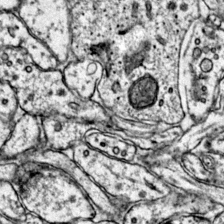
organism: Mouse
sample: Primary visual cortex